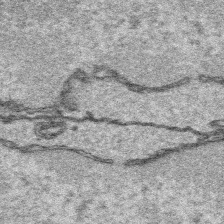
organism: Platynereis dumerilii